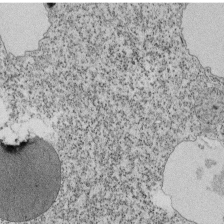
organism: Tetrahymena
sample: Cilia in tetrahymena